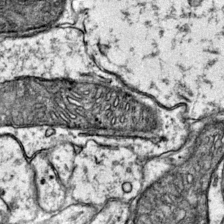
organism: Mouse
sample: Primary visual cortex